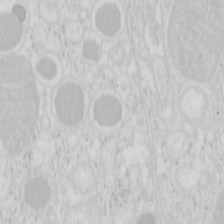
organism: Mouse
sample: Pancreas